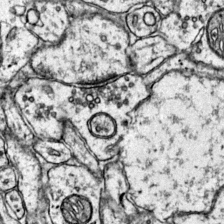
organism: Mouse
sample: Primary visual cortex